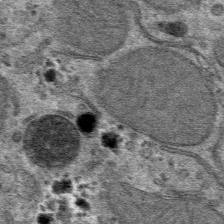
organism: Mouse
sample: Mouse hepatocytes